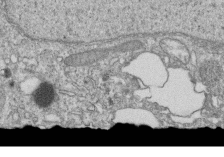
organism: Human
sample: HeLa cell HIV synapse